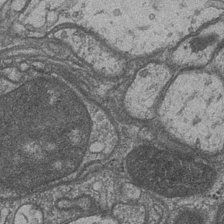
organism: Drosophila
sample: Optic medulla